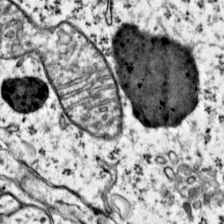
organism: Mouse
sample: Primary visual cortex